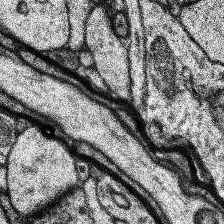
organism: Human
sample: Temporal Lobe